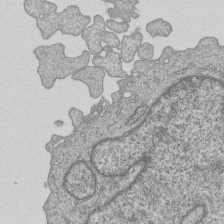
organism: Human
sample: MDA-MB-231 cells